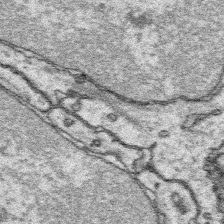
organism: Platynereis dumerilii